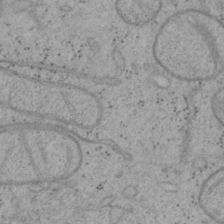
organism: Human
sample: HeLa cells